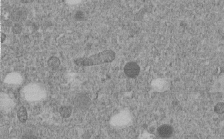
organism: C. elegans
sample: C. elegans embryo early stage